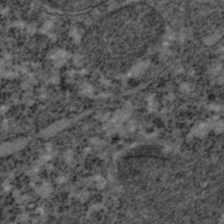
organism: C. elegans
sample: C. elegans embryo